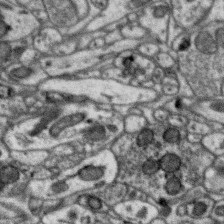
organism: Zebra finch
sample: Brain